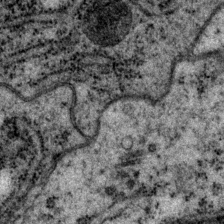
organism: P. pacificus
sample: Pharynx